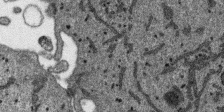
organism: Human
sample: Lung epithelial cells infected with SARS-CoV-2